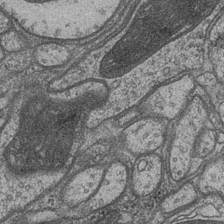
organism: Drosophila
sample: Optic medulla